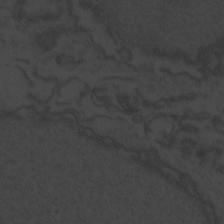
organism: Zebrafish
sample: Macrophage infected with Toxoplasma gondii